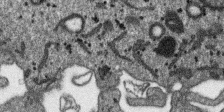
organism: Human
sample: Lung epithelial cells infected with SARS-CoV-2